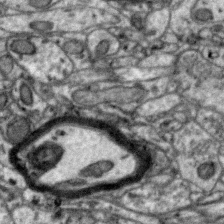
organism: Zebra finch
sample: Brain